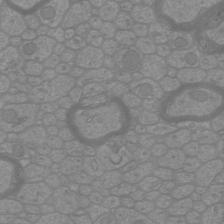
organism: Mouse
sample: Cortical neurons